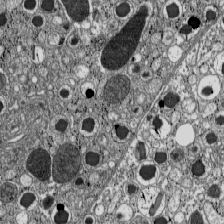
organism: C57BL Mouse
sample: Pancreatic islet